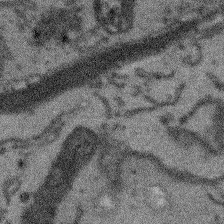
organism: Arabidopsis thaliana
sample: Root tip